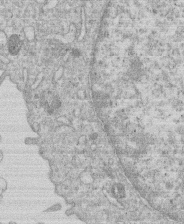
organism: Human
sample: Macrophage cells